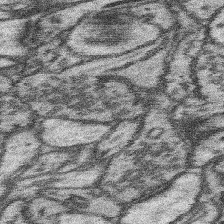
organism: Mouse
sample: Somatosensory cortex neuropil